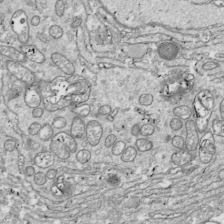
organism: Drosophila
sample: Cell division; meiosis; drosophila spermatocytes